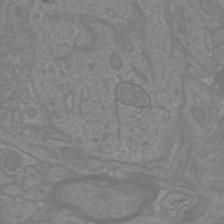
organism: Mouse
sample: Cortical neurons